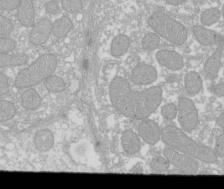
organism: Xenopus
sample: Cilia; centrioles in frog embryo cells